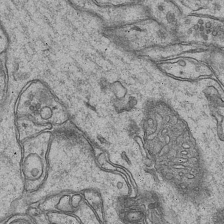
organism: Mouse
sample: CA1 Hippocampus